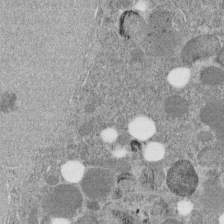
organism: C. elegans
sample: C. elegans embryo early stage